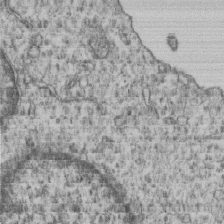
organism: Human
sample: MDA-MB-231 cells